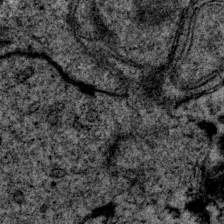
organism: P. pacificus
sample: Pharynx